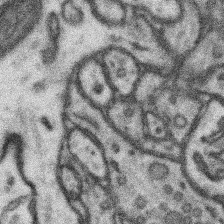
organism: Mouse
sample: Somatosensory cortex neuropil